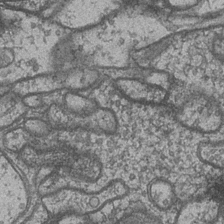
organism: Drosophila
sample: Optic medulla